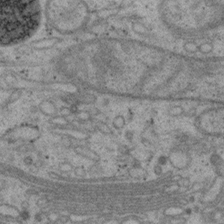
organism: Human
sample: HeLa cells